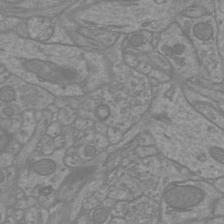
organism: Mouse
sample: Cortical neurons